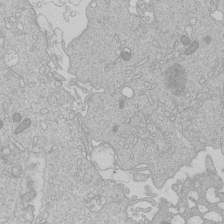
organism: Human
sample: Macrophage cells